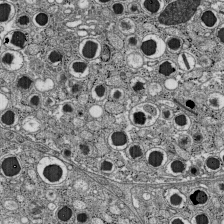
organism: C57BL Mouse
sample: Pancreatic islet